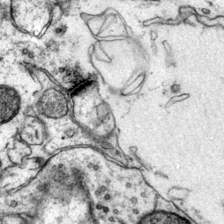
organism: Mouse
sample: Primary visual cortex